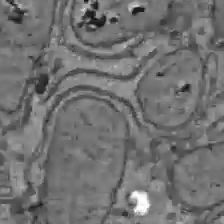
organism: C57BL Mouse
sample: Liver